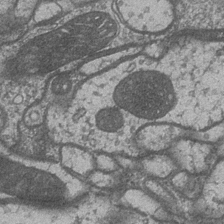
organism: Drosophila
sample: Optic medulla